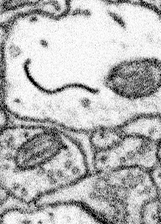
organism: Mouse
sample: Somatosensory cortex neuropil